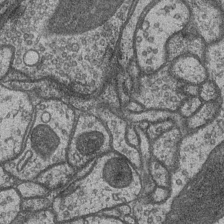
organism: Drosophila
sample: Optic medulla